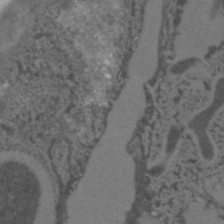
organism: C. elegans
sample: C. elegans embryo